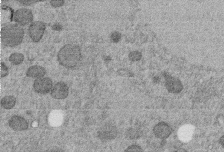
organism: C. elegans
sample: C. elegans embryo early stage